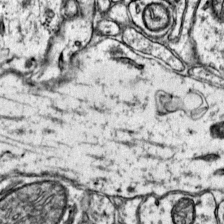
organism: Mouse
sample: Primary visual cortex